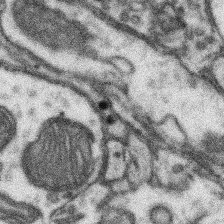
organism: Mouse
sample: Somatosensory cortex neuropil